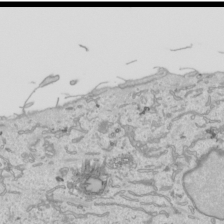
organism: Human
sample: Mitochondria in HCT116 cells